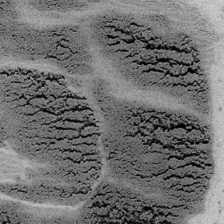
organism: Embia sp.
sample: Silk gland